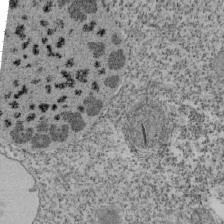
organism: Tetrahymena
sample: Cilia in tetrahymena